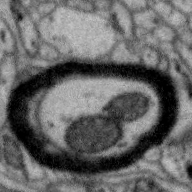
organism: Zebra finch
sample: Brain